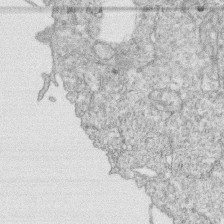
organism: Human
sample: HeLa cell HIV synapse